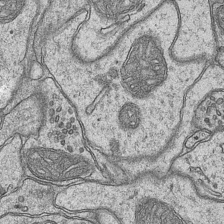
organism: Mouse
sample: CA1 Hippocampus